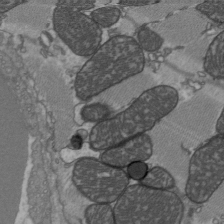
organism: C57BL Mouse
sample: Heart